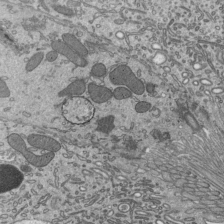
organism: Mouse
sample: Mouse epididymis efferent ductule cilia